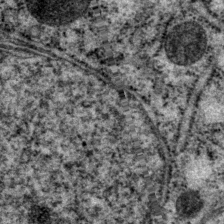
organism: P. pacificus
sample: Pharynx